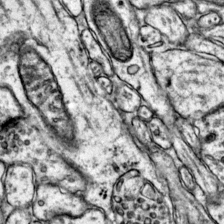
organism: Mouse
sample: Primary visual cortex